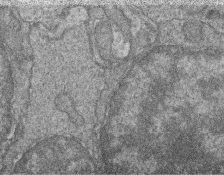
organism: Zebrafish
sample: Cilia; retinal pigment epithelium